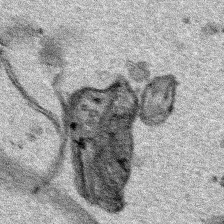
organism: Human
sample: Mitochondria in HCT116 cells